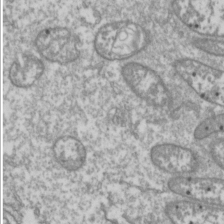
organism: Drosophila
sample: Cell division; meiosis; drosophila spermatocytes